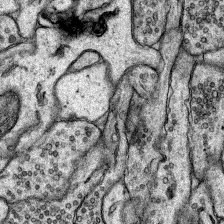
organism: Rat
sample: Hippocampus